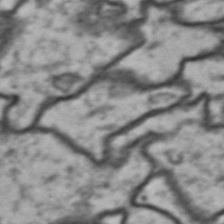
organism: Drosophila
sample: Brain